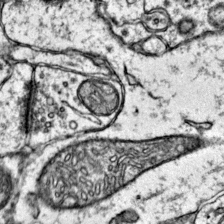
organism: Mouse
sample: Primary visual cortex